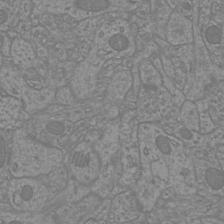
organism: Mouse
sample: Cortical neurons